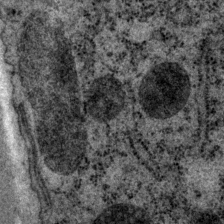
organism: P. pacificus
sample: Pharynx